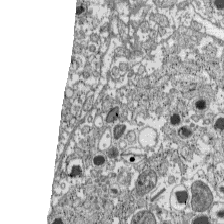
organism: C57BL Mouse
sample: Pancreatic islet